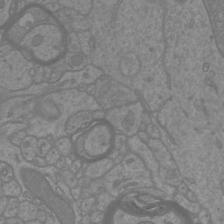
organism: Mouse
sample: Cortical neurons